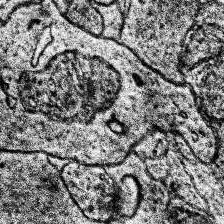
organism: Human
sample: Temporal Lobe